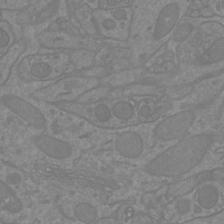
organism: Mouse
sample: Cortical neurons